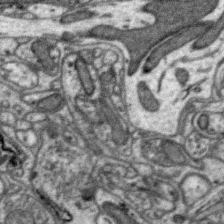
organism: Zebra finch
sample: Brain